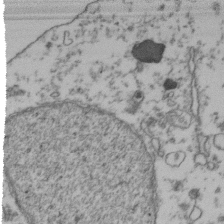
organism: Human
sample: Activated Jurkat CD4+ T cells